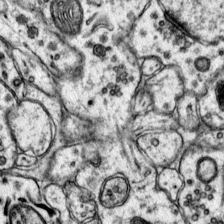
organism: Mouse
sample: Primary visual cortex